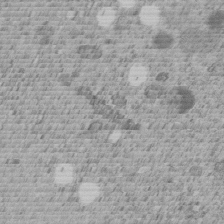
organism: C. elegans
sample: C. elegans embryo early stage